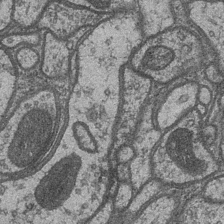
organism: Drosophila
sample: Optic medulla